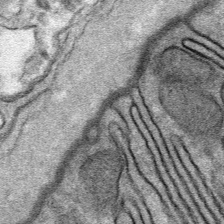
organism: Mouse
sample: Mouse Salivary gland